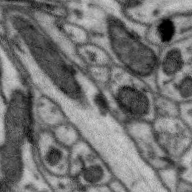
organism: Zebra finch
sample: Brain